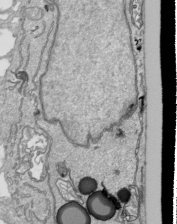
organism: Human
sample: Mitochondria in HCT116 cells